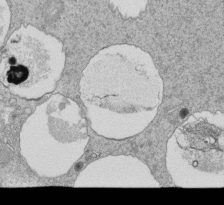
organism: Tetrahymena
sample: Cilia in tetrahymena